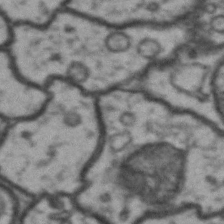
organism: Drosophila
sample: Brain